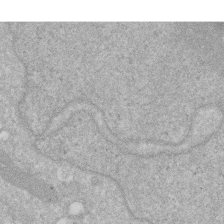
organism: Human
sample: HIV infected U937 cells